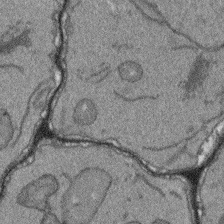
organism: Arabidopsis thaliana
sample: Root tip